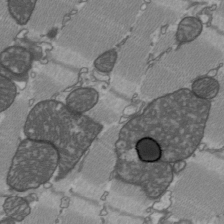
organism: C57BL Mouse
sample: Heart